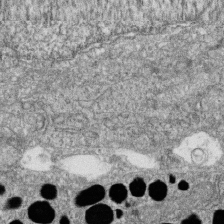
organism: Zebrafish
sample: Cilia; retinal pigment epithelium